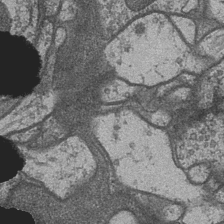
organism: Drosophila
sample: Optic medulla